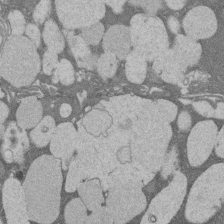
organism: Rat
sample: Salivary granule